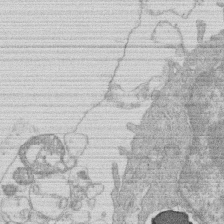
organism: Human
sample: Macrophage cells